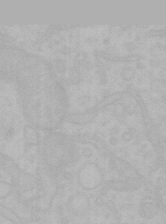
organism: Mouse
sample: Choroid plexus